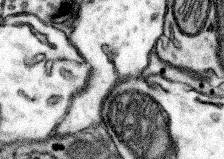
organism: Mouse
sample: Somatosensory cortex neuropil